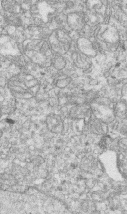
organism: Human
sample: HeLa cell HIV synapse